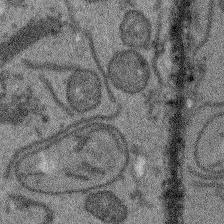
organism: Arabidopsis thaliana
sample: Root tip